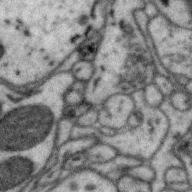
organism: Zebra finch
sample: Brain